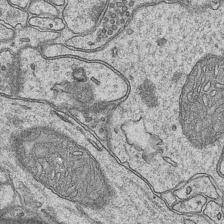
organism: Mouse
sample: CA1 Hippocampus